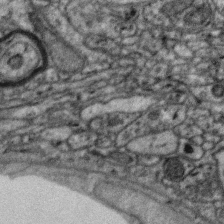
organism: Zebra finch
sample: Brain